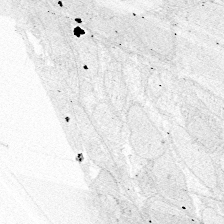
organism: Zebrafish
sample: Whole-Brain